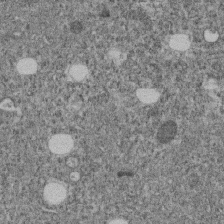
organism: C. elegans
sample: C. elegans embryo early stage